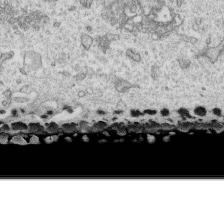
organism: Human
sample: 1205lu cells